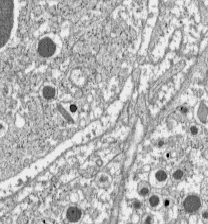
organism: C57BL Mouse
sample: Pancreatic islet